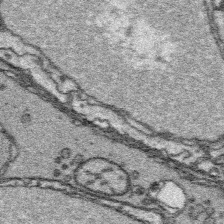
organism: Platynereis dumerilii